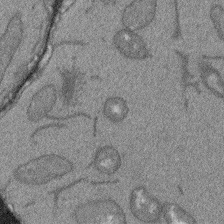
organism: Arabidopsis thaliana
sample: Root tip